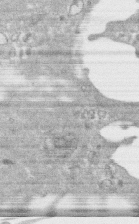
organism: Human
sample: CRL-1474